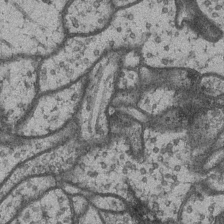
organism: Drosophila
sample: Optic medulla